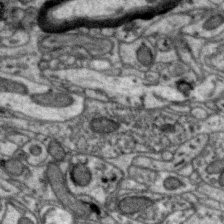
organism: Zebra finch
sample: Brain